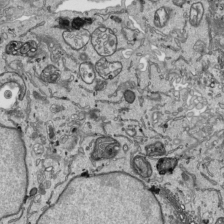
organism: Human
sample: Mitochondria in HCT116 cells